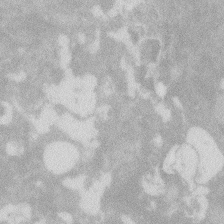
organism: Zebrafish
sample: Macrophage